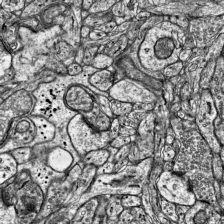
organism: Mouse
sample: Visual Cortex